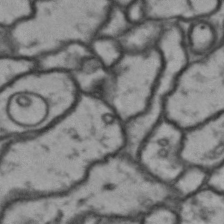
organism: Drosophila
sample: Brain